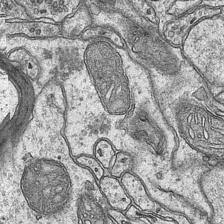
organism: Mouse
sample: CA1 Hippocampus